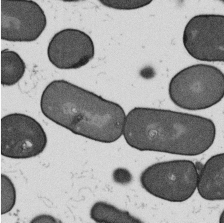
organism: B. subtilis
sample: Bacterial spore